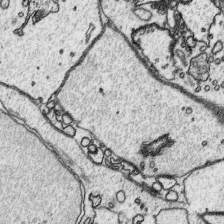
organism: Platynereis dumerilii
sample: Parapodia